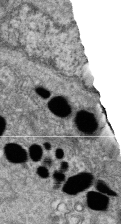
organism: Zebrafish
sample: Cilia; retinal pigment epithelium